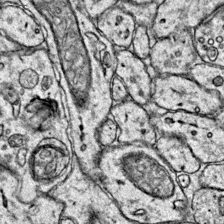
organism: Mouse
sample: Primary visual cortex